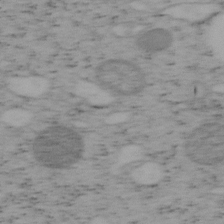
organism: Mouse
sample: OT-I killer T cells with ID8 ovarian cancer cells